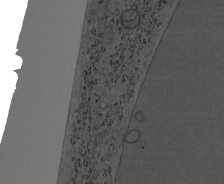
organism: Mouse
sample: OT-I killer T cells with ID8 ovarian cancer cells